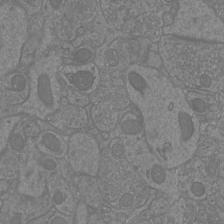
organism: Mouse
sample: Cortical neurons